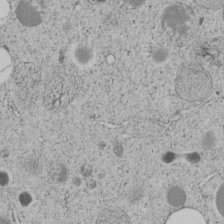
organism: C. elegans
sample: C. elegans embryo early stage